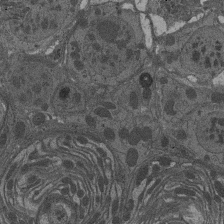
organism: Drosophila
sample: Antenna